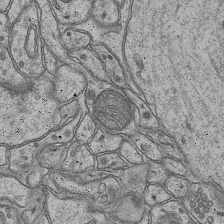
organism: Mouse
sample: CA1 Hippocampus